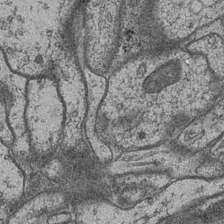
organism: Drosophila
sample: Optic medulla